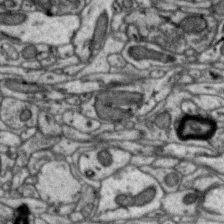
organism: Zebra finch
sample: Brain